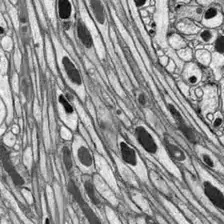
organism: Drosophila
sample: Optic lobe